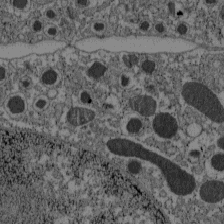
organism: C57BL Mouse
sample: Pancreatic islet